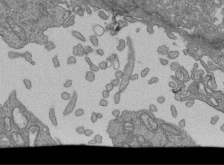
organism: Human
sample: Retinal organoid Rod and Cone cells